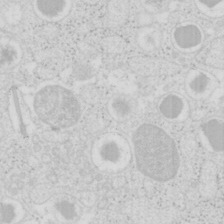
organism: Mouse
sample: Pancreas